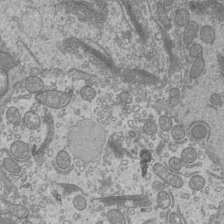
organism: Mouse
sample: Cilia; mouse epididymis